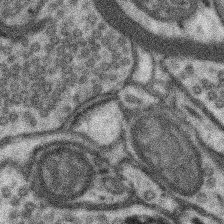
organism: Mouse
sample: Somatosensory cortex neuropil